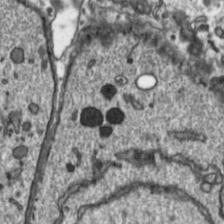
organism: Toxoplasma gondii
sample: Parasites in a vacuole inside a host cell